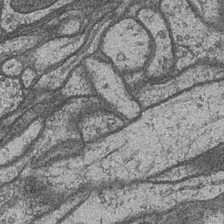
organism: Drosophila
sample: Optic medulla